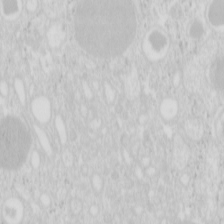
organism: Mouse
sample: Pancreas